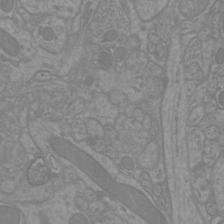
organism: Mouse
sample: Cortical neurons